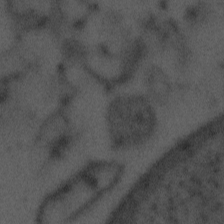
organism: Tuwongella immobilis